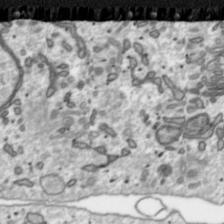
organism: Toxoplasma gondii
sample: Parasites in a vacuole inside a host cell